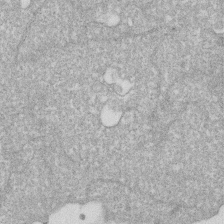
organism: Human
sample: HIV infected U937 cells